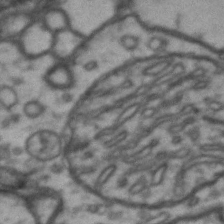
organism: Drosophila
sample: Brain